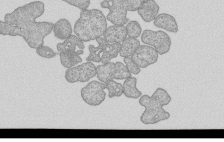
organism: Human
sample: MDA-MB-231 cells